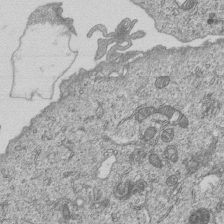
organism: Human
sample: MDA-MB-231 cells